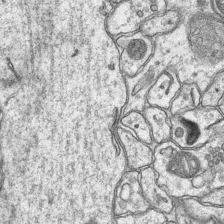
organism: Mouse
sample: CA1 Hippocampus